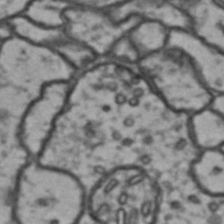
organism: Drosophila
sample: Brain